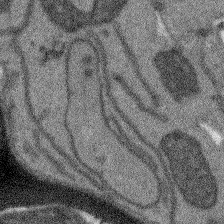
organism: Arabidopsis thaliana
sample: Root tip